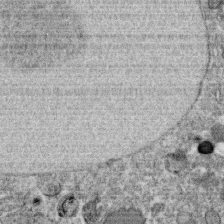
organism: C. elegans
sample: C. elegans oocyte; sperm cells